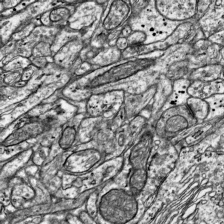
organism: Mouse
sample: Visual Cortex